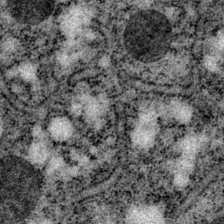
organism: P. pacificus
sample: Pharynx